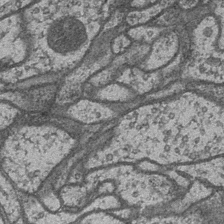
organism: Drosophila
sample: Optic medulla